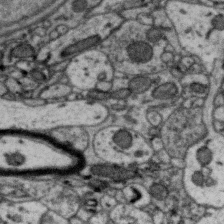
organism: Zebra finch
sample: Brain